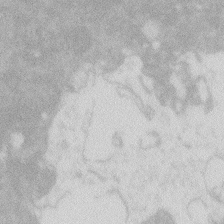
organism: Zebrafish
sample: Macrophage